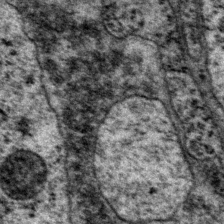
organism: P. pacificus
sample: Pharynx